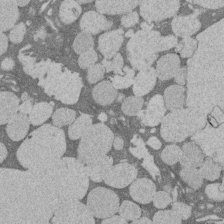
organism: Rat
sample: Salivary granule